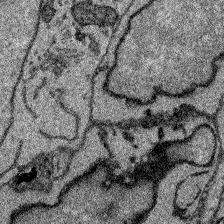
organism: Zebrafish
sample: Larval olfactory bulb